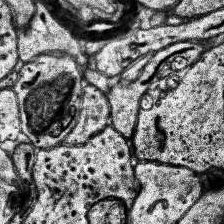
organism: Human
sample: Temporal Lobe